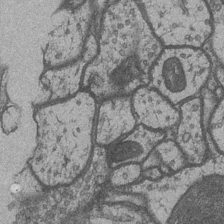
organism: Drosophila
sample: Optic medulla